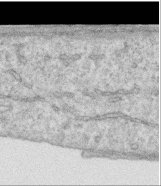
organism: Human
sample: Centriole in RPE cells